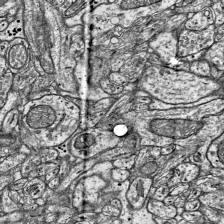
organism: Mouse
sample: Visual Cortex